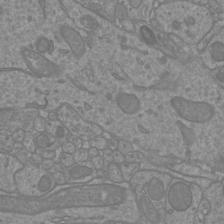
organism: Mouse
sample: Cortical neurons